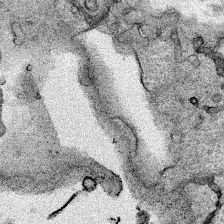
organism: Human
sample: Mitochondria in HCT116 cells